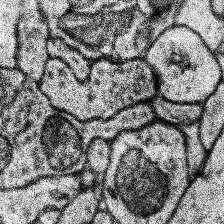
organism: Human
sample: Temporal Lobe